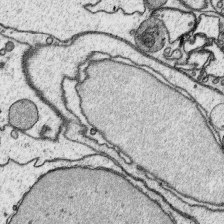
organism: Platynereis dumerilii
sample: Parapodia